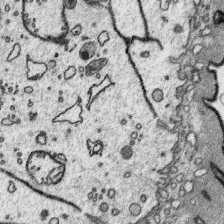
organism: Platynereis dumerilii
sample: Parapodia